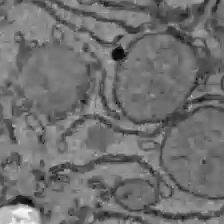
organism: C57BL Mouse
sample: Liver